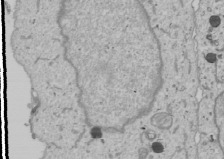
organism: Human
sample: Mitochondria in U2OS cells